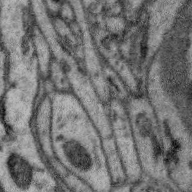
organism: Zebra finch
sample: Brain